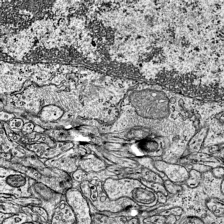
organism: Mouse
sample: Visual Cortex